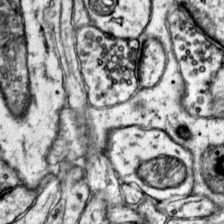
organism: Mouse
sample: Primary visual cortex